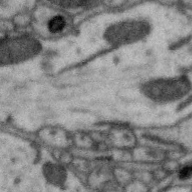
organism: Zebra finch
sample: Brain